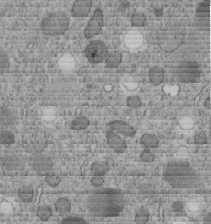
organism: C. elegans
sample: C. elegans embryo early stage